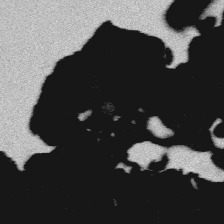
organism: Platynereis dumerilii